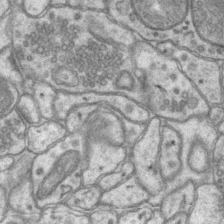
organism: Mouse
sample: CA1 Hippocampus